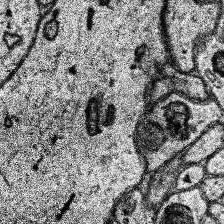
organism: Human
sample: Temporal Lobe